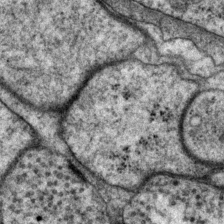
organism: P. pacificus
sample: Pharynx